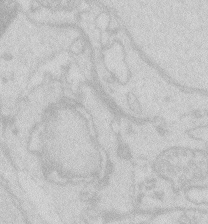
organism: Zebrafish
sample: Macrophage